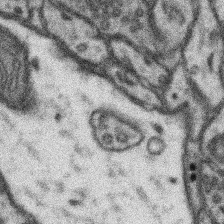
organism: Mouse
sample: Somatosensory cortex neuropil